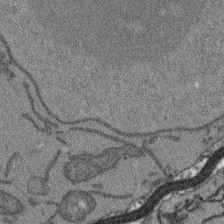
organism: Arabidopsis thaliana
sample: Root tip